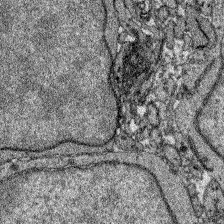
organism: Zebrafish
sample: Larval olfactory bulb